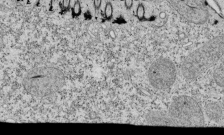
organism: Tetrahymena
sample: Cilia in tetrahymena